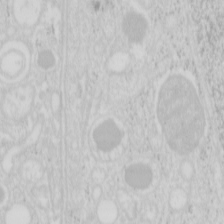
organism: Mouse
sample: Pancreas